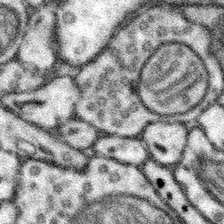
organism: Mouse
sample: Somatosensory cortex neuropil